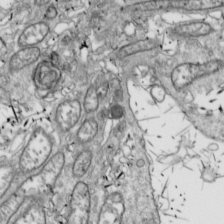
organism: Drosophila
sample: Cell division; meiosis; drosophila spermatocytes